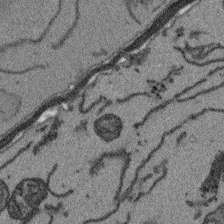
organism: Arabidopsis thaliana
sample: Root tip